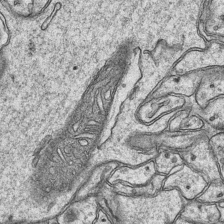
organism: Mouse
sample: CA1 Hippocampus